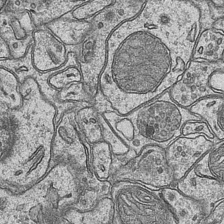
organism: Mouse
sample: CA1 Hippocampus